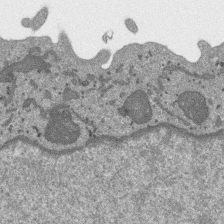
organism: Human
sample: Lung epithelial cells infected with SARS-CoV-2